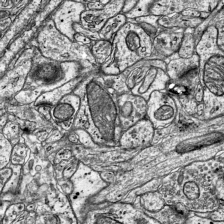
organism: Mouse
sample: Visual Cortex